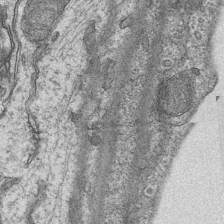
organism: Mouse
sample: CA1 Hippocampus